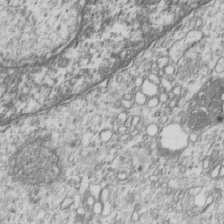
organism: Human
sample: MDA-MB-231 cells